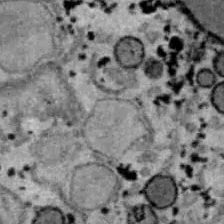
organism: Mouse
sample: Liver from an obese (ob/ob) mouse